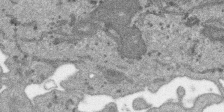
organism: Human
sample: Lung epithelial cells infected with SARS-CoV-2